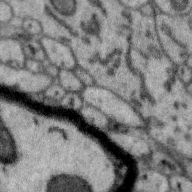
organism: Zebra finch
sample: Brain